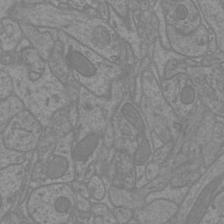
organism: Mouse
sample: Cortical neurons